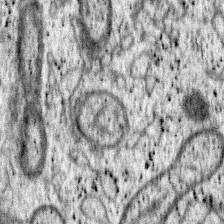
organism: Human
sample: HeLa cells